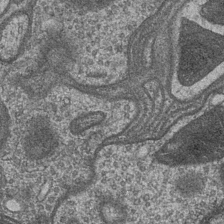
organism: Drosophila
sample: Optic medulla